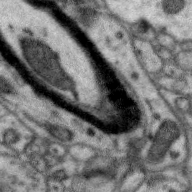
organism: Zebra finch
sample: Brain